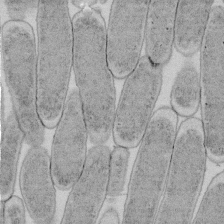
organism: E. coli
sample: Bacterial nucleoid